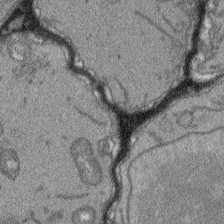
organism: Arabidopsis thaliana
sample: Root tip